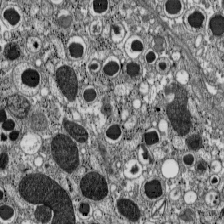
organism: C57BL Mouse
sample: Pancreatic islet